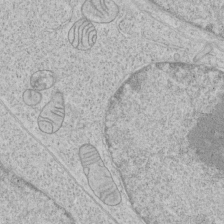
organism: Human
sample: Mitochondria in HCT116 cells